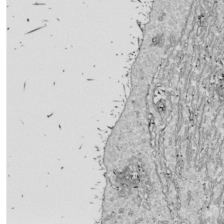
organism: Drosophila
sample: Cell division; meiosis; drosophila spermatocytes